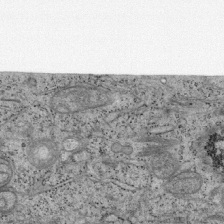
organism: Human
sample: HeLa cells